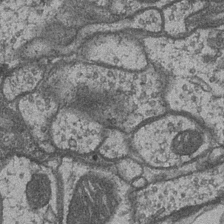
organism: Drosophila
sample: Optic medulla